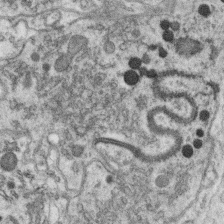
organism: C. elegans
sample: C. elegans oocyte; sperm cells